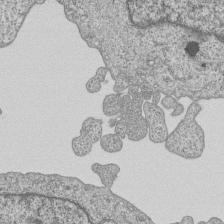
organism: Human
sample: MDA-MB-231 cells